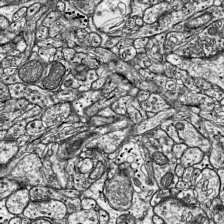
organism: Mouse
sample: Visual Cortex